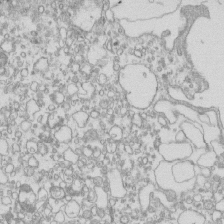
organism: Mouse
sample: Macrophages